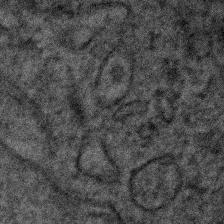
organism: Human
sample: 1205lu cells